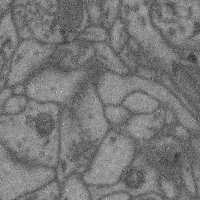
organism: Mouse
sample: Cerebral cortex